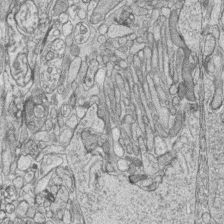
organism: Zebrafish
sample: synaptic ribbons in rod cells and cone cells